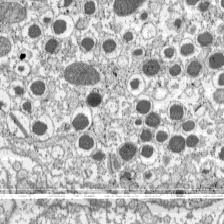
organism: C57BL Mouse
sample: Pancreatic islet